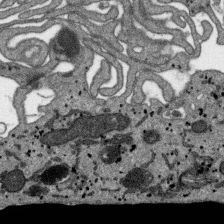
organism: Human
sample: Lung epithelial cells, uninfected (mock) control